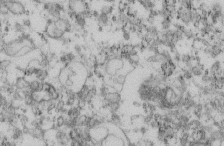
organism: Mouse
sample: Cilia; retinal pigment epithelium